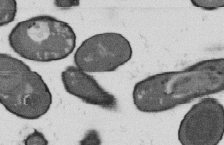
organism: B. subtilis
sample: Bacterial spore